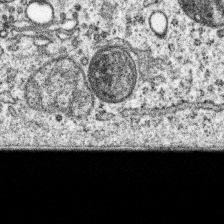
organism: Human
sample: HeLa cells